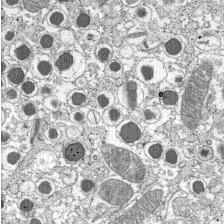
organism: C57BL Mouse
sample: Pancreatic islet